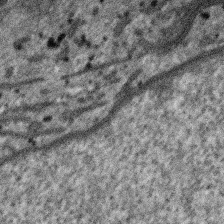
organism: Human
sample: Lung epithelial cells infected with SARS-CoV-2